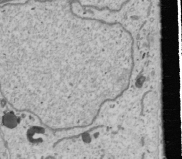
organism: Human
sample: Mitochondria in U2OS cells